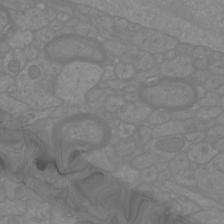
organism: Mouse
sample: Cortical neurons